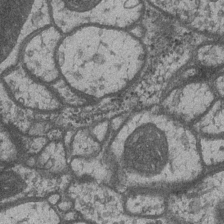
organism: Drosophila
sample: Optic medulla